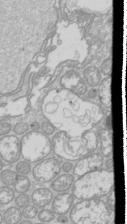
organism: Drosophila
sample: Cell division; meiosis; drosophila spermatocytes